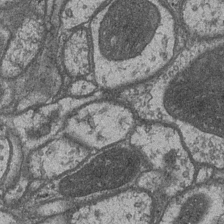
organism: Drosophila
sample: Optic medulla